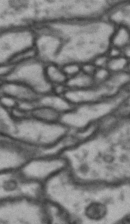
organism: Drosophila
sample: Brain